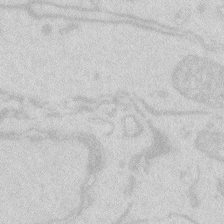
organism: Zebrafish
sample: Macrophage